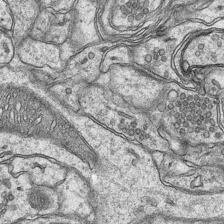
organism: Mouse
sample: CA1 Hippocampus